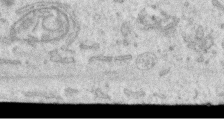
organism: Human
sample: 1205lu cells